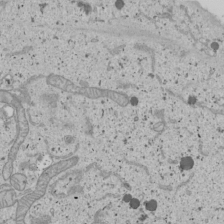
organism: Human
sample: Mitochondria in U2OS cells